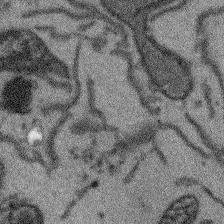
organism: Arabidopsis thaliana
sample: Root tip